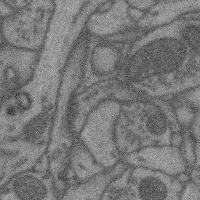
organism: Mouse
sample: Cerebral cortex